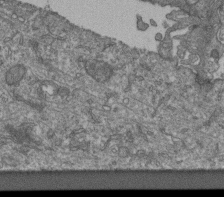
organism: Human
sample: Retinal organoid Rod and Cone cells